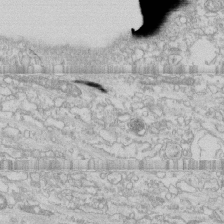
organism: Human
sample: CRL-1474